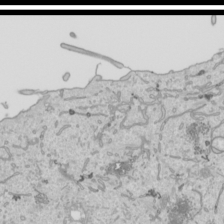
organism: Human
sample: Mitochondria in HCT116 cells